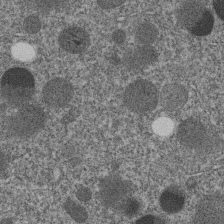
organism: C. elegans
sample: C. elegans embryo early stage